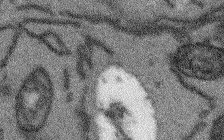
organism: Arabidopsis thaliana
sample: Root tip